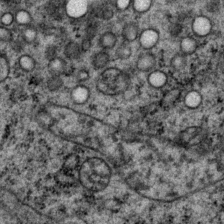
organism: P. pacificus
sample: Pharynx